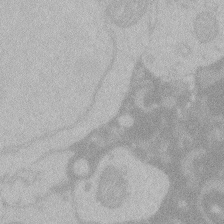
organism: Zebrafish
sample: Macrophage infected with Toxoplasma gondii